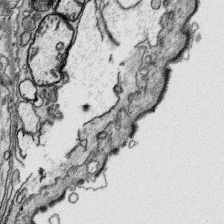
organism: Platynereis dumerilii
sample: Parapodia